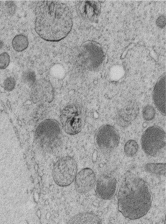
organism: C. elegans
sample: C. elegans embryo early stage